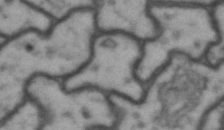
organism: Drosophila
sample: Brain